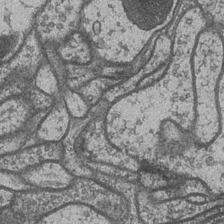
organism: Drosophila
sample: Optic medulla